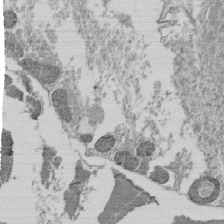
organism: Tetrahymena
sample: Cilia in tetrahymena